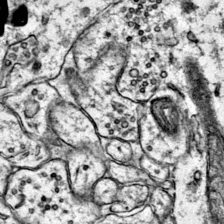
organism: Mouse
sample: Primary visual cortex